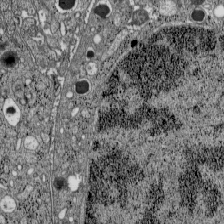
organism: C57BL Mouse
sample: Pancreatic islet